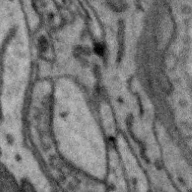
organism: Zebra finch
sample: Brain